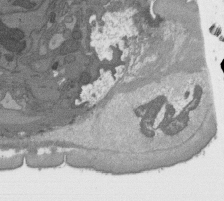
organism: C. elegans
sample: AFD neurons C. elegans